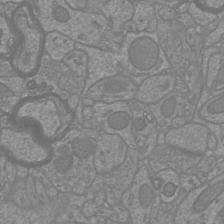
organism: Mouse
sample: Cortical neurons